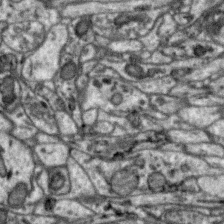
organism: Zebra finch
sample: Brain